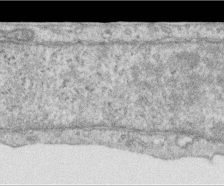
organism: Human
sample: Centriole in RPE cells